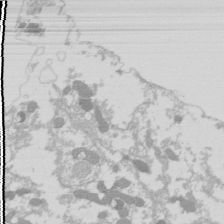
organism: Drosophila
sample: Cell division; meiosis; drosophila spermatocytes